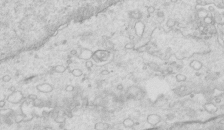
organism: Mouse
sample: Multiciliated cells